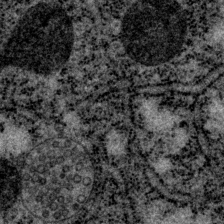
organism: P. pacificus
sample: Pharynx